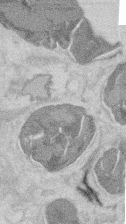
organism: Mouse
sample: T cell stromal cell synapse